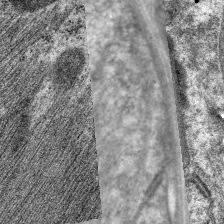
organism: C. elegans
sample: Pharynx